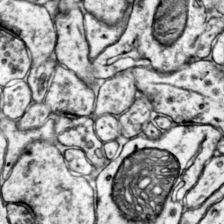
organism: Mouse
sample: Primary visual cortex